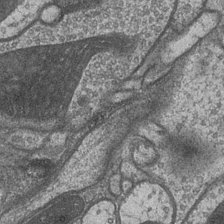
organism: Drosophila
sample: Optic medulla